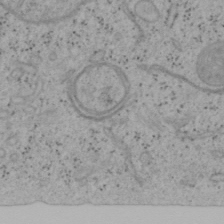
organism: Human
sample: HeLa cells